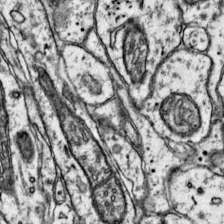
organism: Mouse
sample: Primary visual cortex